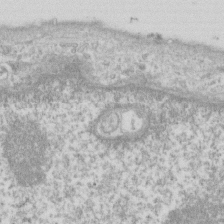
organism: Human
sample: Fibroblast cells